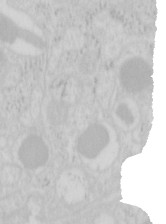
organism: Mouse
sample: Pancreas